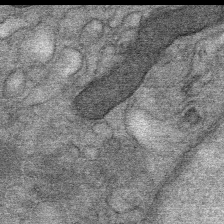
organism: Mouse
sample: Mouse Salivary gland